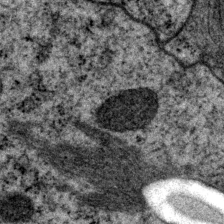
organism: P. pacificus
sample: Pharynx